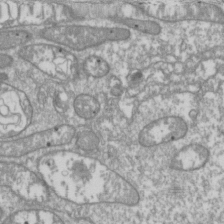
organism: Drosophila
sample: Cell division; meiosis; drosophila spermatocytes